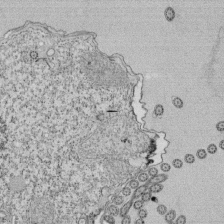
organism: Tetrahymena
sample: Cilia in tetrahymena